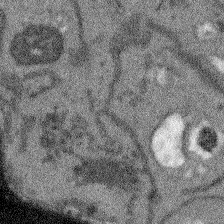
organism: Arabidopsis thaliana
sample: Root tip